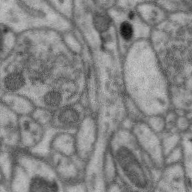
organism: Zebra finch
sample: Brain